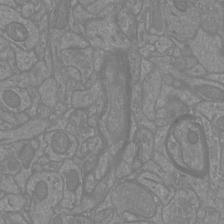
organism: Mouse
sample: Cortical neurons